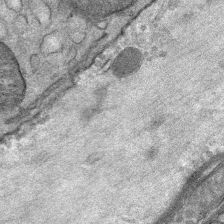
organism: Mouse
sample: Mouse Salivary gland